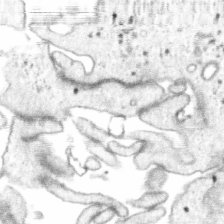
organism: Human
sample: HeLa cells